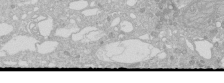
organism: Human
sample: Caco-2 cells